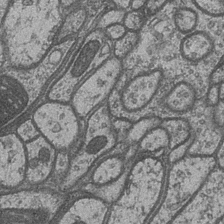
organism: Drosophila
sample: Optic medulla